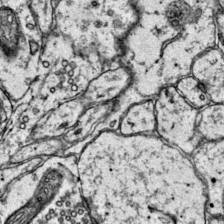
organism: Mouse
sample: Primary visual cortex